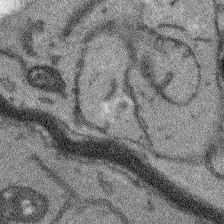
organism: Arabidopsis thaliana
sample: Root tip